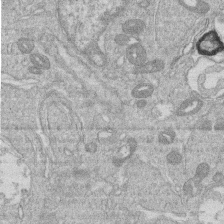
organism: Human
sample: Macrophage cells